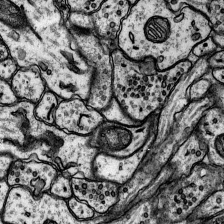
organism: Rat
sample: Hippocampus